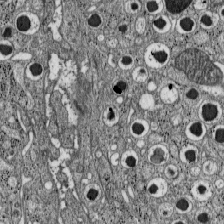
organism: C57BL Mouse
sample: Pancreatic islet